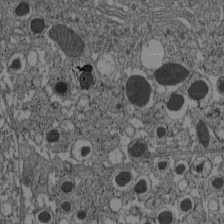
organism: C57BL Mouse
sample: Pancreatic islet